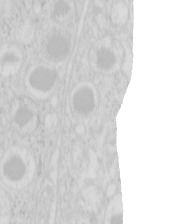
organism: Mouse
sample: Pancreas